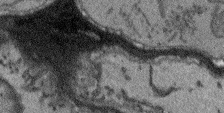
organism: Arabidopsis thaliana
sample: Root tip